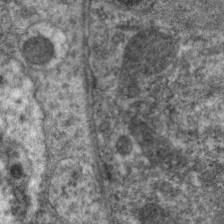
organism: C. elegans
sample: Pharynx